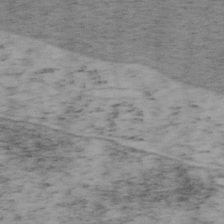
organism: Mouse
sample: OT-I killer T cells with ID8 ovarian cancer cells